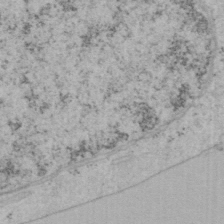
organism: Human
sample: HeLa cells